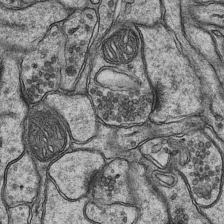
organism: Mouse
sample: CA1 Hippocampus